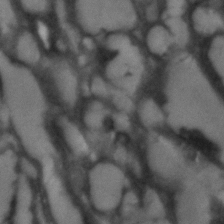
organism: C. elegans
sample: C. elegans embryo